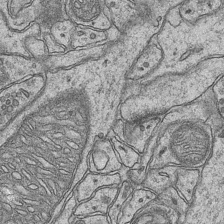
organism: Mouse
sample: CA1 Hippocampus